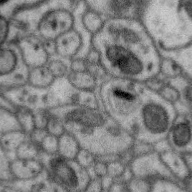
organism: Zebra finch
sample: Brain